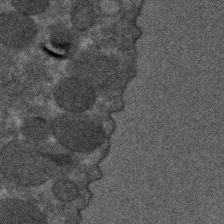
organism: C. elegans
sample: C. elegans embryo